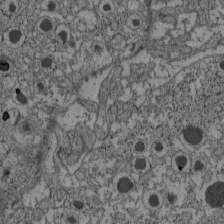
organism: C57BL Mouse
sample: Pancreatic islet